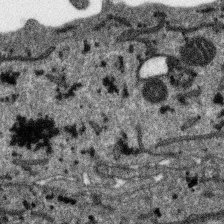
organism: Human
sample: Lung epithelial cells infected with SARS-CoV-2